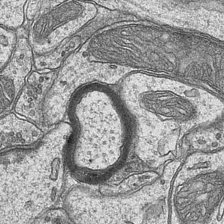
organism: Mouse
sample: CA1 Hippocampus